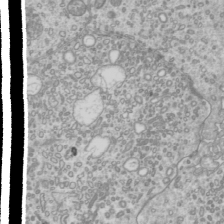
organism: Mouse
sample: Cilia; mouse epididymis